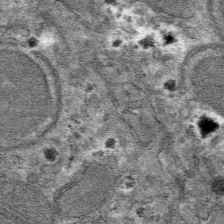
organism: Mouse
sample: Mouse hepatocytes